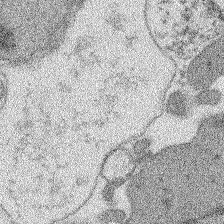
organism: Human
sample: HeLa cells